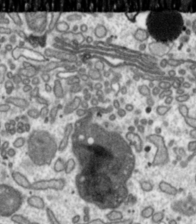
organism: Toxoplasma gondii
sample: Parasites in a vacuole inside a host cell